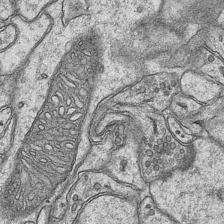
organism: Mouse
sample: CA1 Hippocampus